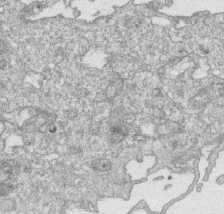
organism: Human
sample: HeLa cell HIV synapse